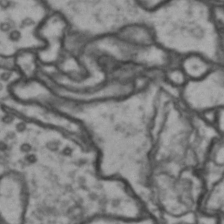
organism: Drosophila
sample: Brain